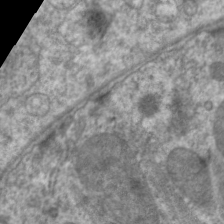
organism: C. elegans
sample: Pharynx